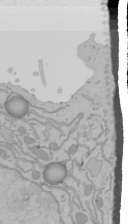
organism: Mouse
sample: Cancer cell death in ED-1 cells